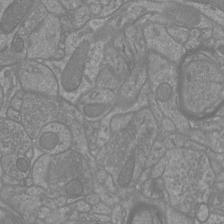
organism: Mouse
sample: Cortical neurons